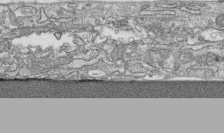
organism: Human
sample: CRL-1474